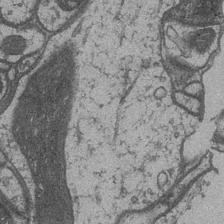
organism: Drosophila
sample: Optic medulla